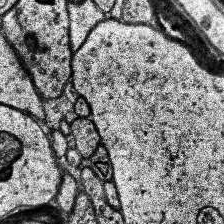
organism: Human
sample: Temporal Lobe